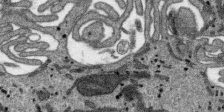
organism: Human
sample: Lung epithelial cells, uninfected (mock) control